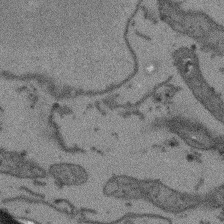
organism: Arabidopsis thaliana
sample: Root tip